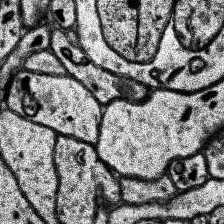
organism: Human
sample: Temporal Lobe